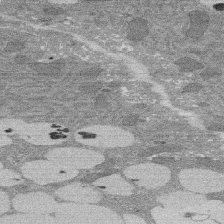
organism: Rat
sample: Salivary granule